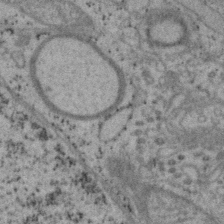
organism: Human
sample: HeLa cells